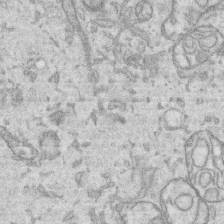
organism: Human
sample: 1205lu cells